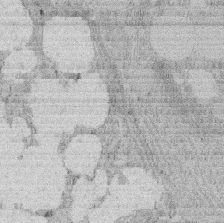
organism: Rat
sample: Salivary granule